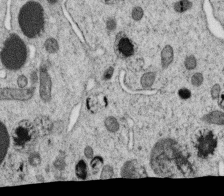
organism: C. elegans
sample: C. elegans oocyte; sperm cells